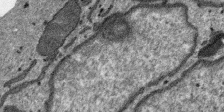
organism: Human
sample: Lung epithelial cells, uninfected (mock) control